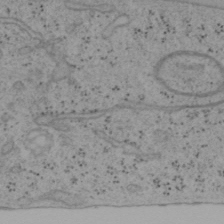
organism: Human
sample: HeLa cells